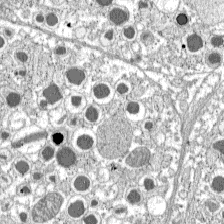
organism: C57BL Mouse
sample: Pancreatic islet